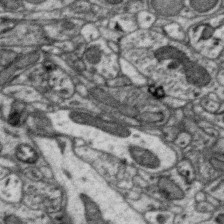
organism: Zebra finch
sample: Brain